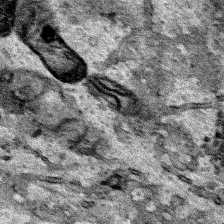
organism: Human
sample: Mitochondria in HCT116 cells